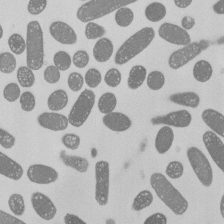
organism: E. coli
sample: Bacterial nucleoid